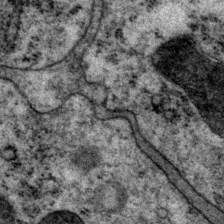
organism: P. pacificus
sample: Pharynx